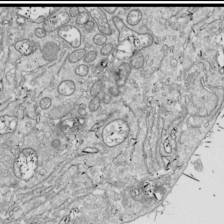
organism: Drosophila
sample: Cell division; meiosis; drosophila spermatocytes